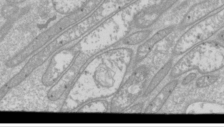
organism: Drosophila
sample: Cell division; meiosis; drosophila spermatocytes